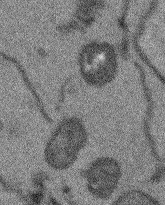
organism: Arabidopsis thaliana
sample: Root tip